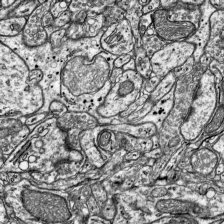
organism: Mouse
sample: Visual Cortex